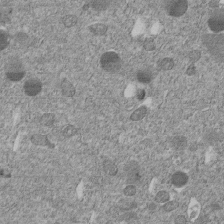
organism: C. elegans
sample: C. elegans embryo early stage